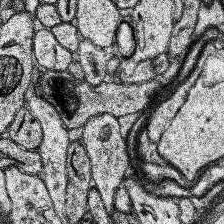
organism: Human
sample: Temporal Lobe